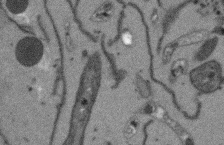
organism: Arabidopsis thaliana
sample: Root tip